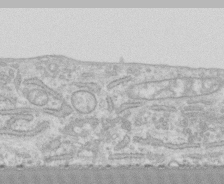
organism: Human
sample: CRL-1474